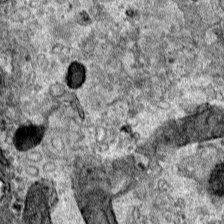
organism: Human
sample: Mitochondria in HCT116 cells